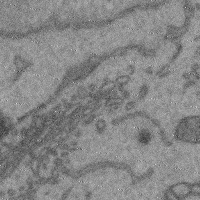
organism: Mouse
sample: Cerebral cortex